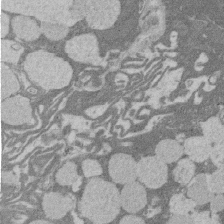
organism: Rat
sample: Salivary granule